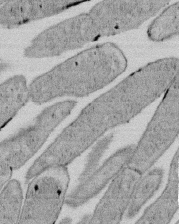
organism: E. coli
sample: Bacterial nucleoid